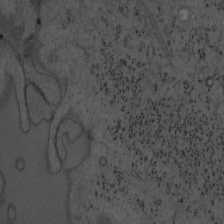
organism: Mouse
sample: OT-I killer T cells with ID8 ovarian cancer cells